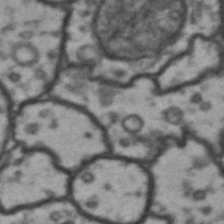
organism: Drosophila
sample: Brain